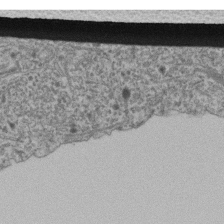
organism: Human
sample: Retinal organoid Rod and Cone cells